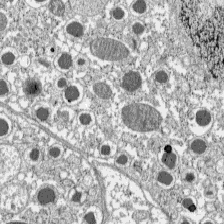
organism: C57BL Mouse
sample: Pancreatic islet